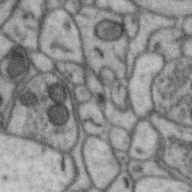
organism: Zebra finch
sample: Brain